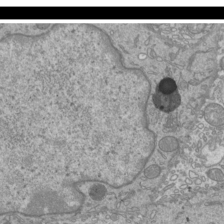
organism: Mouse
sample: Cilia; mouse epididymis